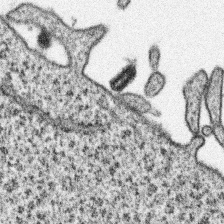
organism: Human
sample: HeLa cells